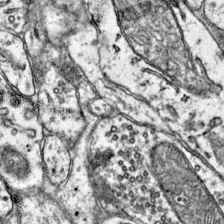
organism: Mouse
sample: Primary visual cortex